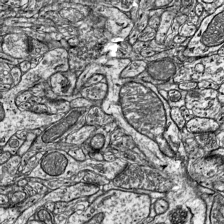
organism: Mouse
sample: Visual Cortex